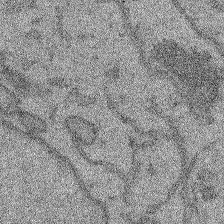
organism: Human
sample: HeLa cells